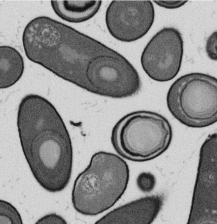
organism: B. subtilis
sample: Bacterial spore